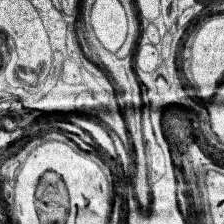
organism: Human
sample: Temporal Lobe